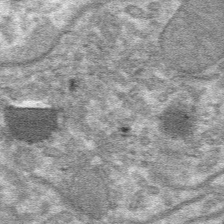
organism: Mouse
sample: Mouse hepatocytes